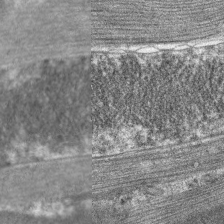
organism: C. elegans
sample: Pharynx